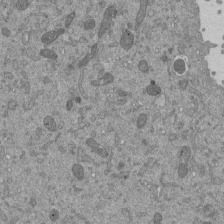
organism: Mouse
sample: ED-1 cell nuclei; centrioles